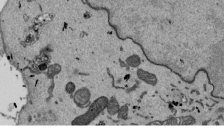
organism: Mouse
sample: ED-1 cell nuclei; centrioles